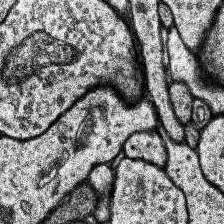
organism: Human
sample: Temporal Lobe